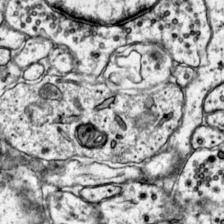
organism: Mouse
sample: Primary visual cortex